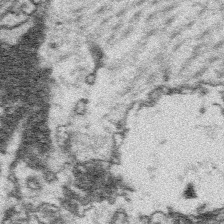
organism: Platynereis dumerilii